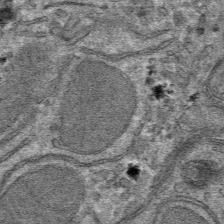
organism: Mouse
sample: Mouse hepatocytes